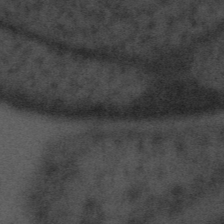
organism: Tuwongella immobilis